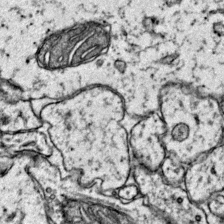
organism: Mouse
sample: Primary visual cortex